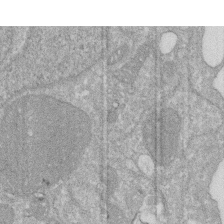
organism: Human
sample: HIV infected U937 cells